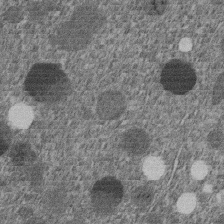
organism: C. elegans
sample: C. elegans embryo early stage